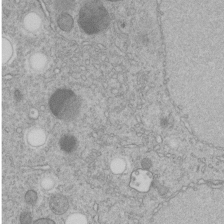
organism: C. elegans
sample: C. elegans embryo early stage